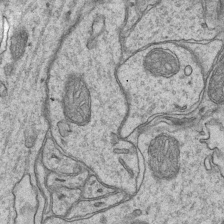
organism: Mouse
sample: CA1 Hippocampus